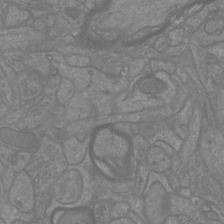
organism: Mouse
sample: Cortical neurons